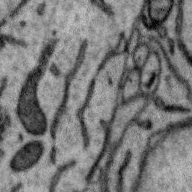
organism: Zebra finch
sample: Brain